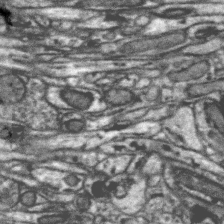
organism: Zebra finch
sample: Brain